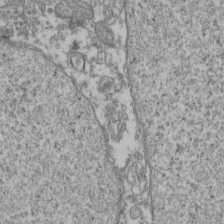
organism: Human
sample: Activated Jurkat CD4+ T cells